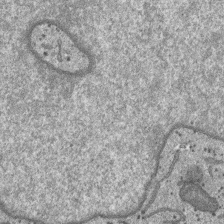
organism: Human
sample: Lung epithelial cells infected with SARS-CoV-2